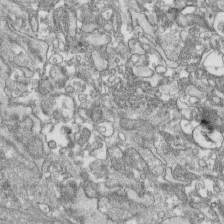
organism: Human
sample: CRL-1474